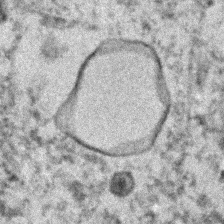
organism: Human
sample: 1205lu cells